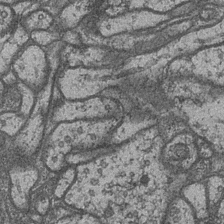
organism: Drosophila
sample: Optic medulla